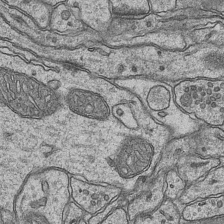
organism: Mouse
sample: CA1 Hippocampus